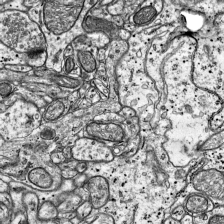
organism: Mouse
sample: Visual Cortex